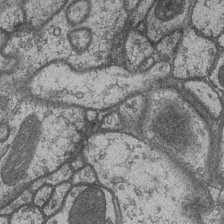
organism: Drosophila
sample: Optic medulla